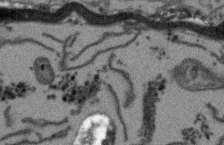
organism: Arabidopsis thaliana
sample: Root tip